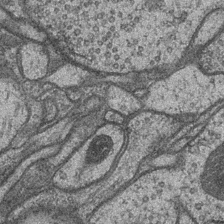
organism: Drosophila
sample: Optic medulla